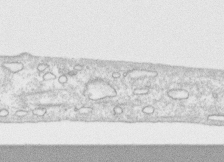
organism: Human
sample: CRL-1474